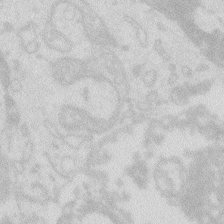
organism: Zebrafish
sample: Macrophage